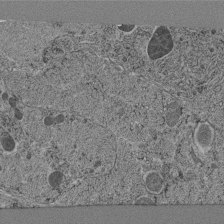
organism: C. elegans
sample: C. elegans pharynx